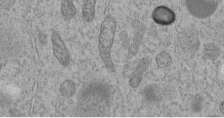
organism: C. elegans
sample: C. elegans embryo early stage